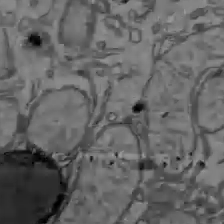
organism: C57BL Mouse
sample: Liver